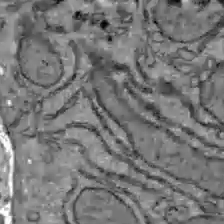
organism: C57BL Mouse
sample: Liver